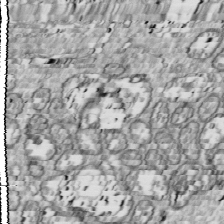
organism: Drosophila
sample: Cell division; meiosis; drosophila spermatocytes